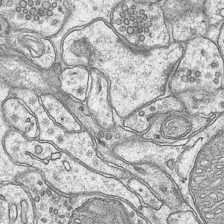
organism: Mouse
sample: CA1 Hippocampus